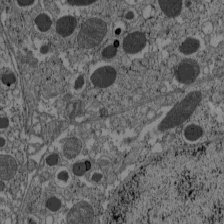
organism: C57BL Mouse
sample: Pancreatic islet